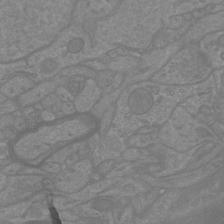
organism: Mouse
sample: Cortical neurons